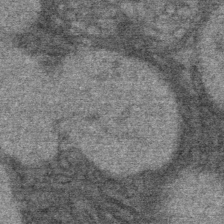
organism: Mouse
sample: Mouse Salivary gland